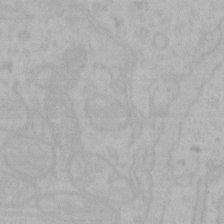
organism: Mouse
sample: Choroid plexus